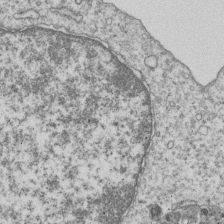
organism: Human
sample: MDA-MB-231 cells